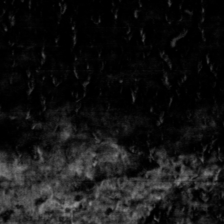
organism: Toxoplasma gondii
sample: Parasites in a vacuole inside a host cell